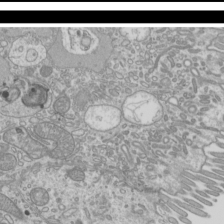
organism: Mouse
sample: Cilia; mouse epididymis